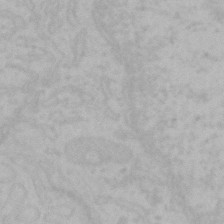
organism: Mouse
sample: Choroid plexus